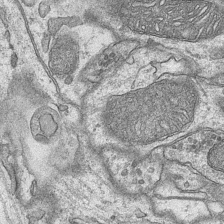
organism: Mouse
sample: CA1 Hippocampus